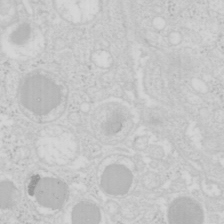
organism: Mouse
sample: Pancreas